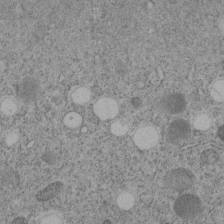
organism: C. elegans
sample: C. elegans embryo early stage